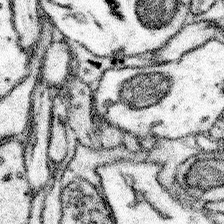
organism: Mouse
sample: Somatosensory cortex neuropil